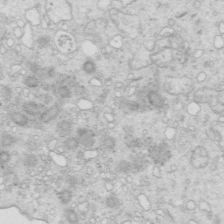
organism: Mouse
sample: Multiciliated cells